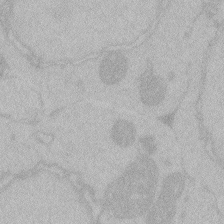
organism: Zebrafish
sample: Macrophage infected with Toxoplasma gondii